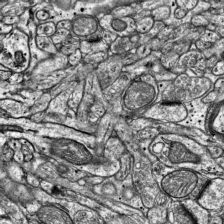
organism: Mouse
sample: Visual Cortex